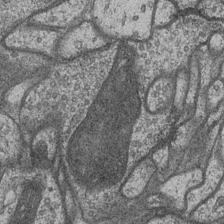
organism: Drosophila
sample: Optic medulla